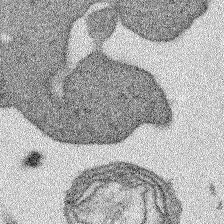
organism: Human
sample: HeLa cells